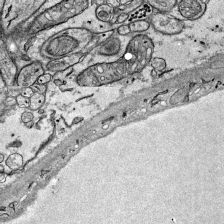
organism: Mouse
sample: Visual Cortex